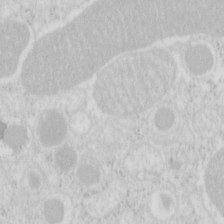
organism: Mouse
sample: Pancreas